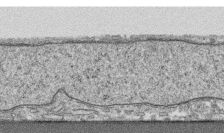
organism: Human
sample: CRL-1474